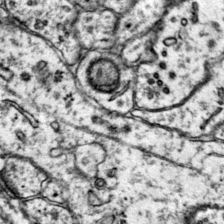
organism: Mouse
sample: Primary visual cortex